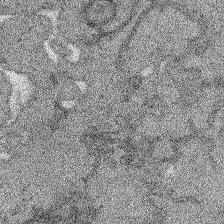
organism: Human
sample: HeLa cells